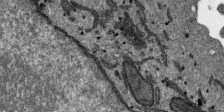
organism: Human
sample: Lung epithelial cells, uninfected (mock) control